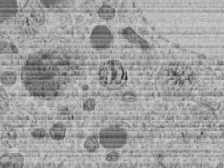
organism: C. elegans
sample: C. elegans embryo early stage